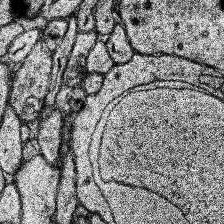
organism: Human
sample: Temporal Lobe